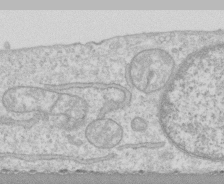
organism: Human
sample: CRL-1474